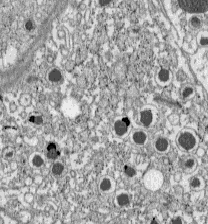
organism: C57BL Mouse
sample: Pancreatic islet